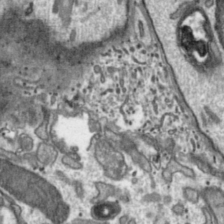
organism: Toxoplasma gondii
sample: Parasites in a vacuole inside a host cell